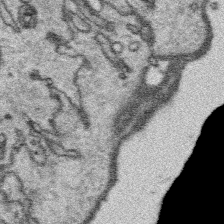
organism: Platynereis dumerilii